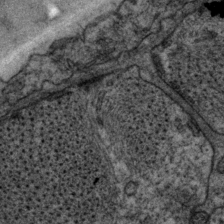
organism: P. pacificus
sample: Pharynx